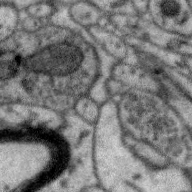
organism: Zebra finch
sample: Brain